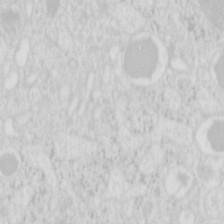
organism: Mouse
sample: Pancreas